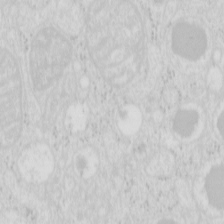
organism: Mouse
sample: Pancreas